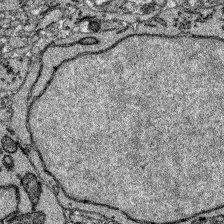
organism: Zebrafish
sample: Larval olfactory bulb